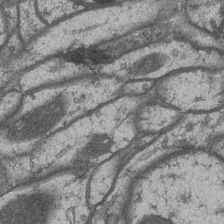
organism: Drosophila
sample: Optic medulla